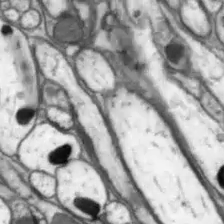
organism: Drosophila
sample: Optic lobe